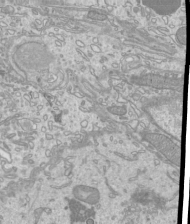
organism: Mouse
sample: Cilia; mouse epididymis